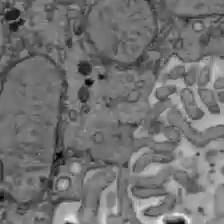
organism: C57BL Mouse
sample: Liver